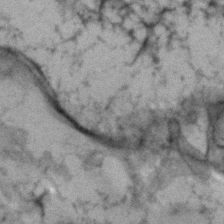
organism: Human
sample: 1205lu cells